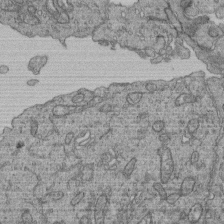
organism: Human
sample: Retinal organoid Rod and Cone cells